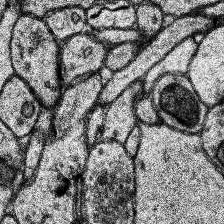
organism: Human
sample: Temporal Lobe